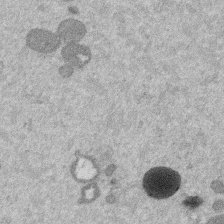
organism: Mouse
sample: Dividing mouse embryo 1 cell stage